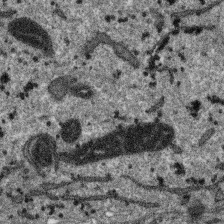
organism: Human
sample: Lung epithelial cells infected with SARS-CoV-2